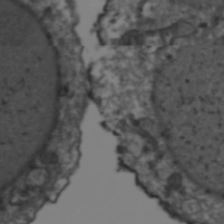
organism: Human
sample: HIV-1 Gag-iGFP